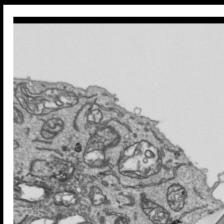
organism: Human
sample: Mitochondria in HCT116 cells